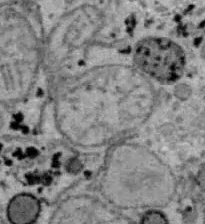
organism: Mouse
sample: Liver from an obese (ob/ob) mouse